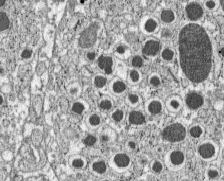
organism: C57BL Mouse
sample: Pancreatic islet